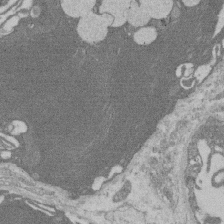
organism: Rat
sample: Salivary granule